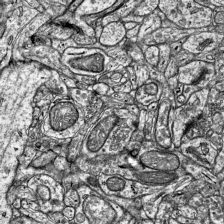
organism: Mouse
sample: Visual Cortex